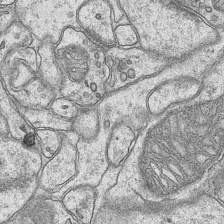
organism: Mouse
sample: CA1 Hippocampus